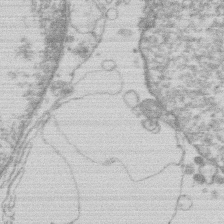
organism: Human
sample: Macrophage cells